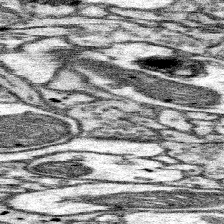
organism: Mouse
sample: Somatosensory cortex neuropil